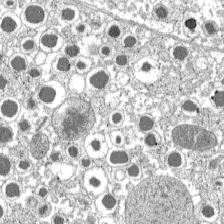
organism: C57BL Mouse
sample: Pancreatic islet